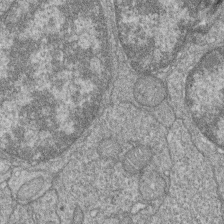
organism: Zebrafish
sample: Cilia; retinal pigment epithelium